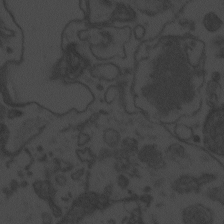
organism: Zebrafish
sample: Macrophage infected with Toxoplasma gondii